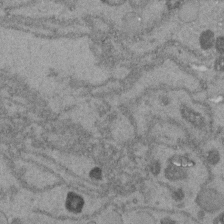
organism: C. elegans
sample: C. elegans embryo early stage